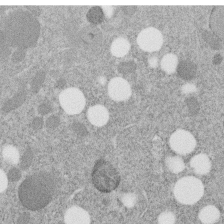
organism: C. elegans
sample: C. elegans embryo early stage